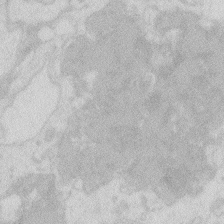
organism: Zebrafish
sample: Macrophage